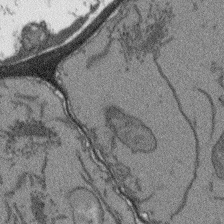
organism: Arabidopsis thaliana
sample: Root tip